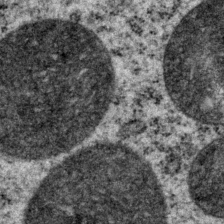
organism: P. pacificus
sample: Pharynx